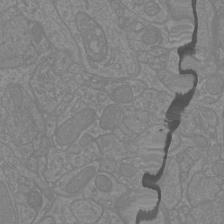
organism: Mouse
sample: Cortical neurons